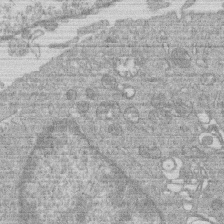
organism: Human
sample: Macrophage cells